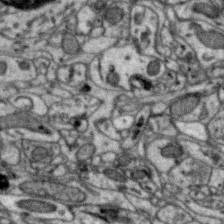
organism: Zebra finch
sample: Brain